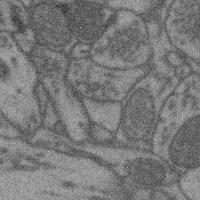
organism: Mouse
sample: Cerebral cortex